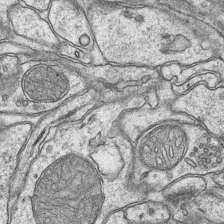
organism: Mouse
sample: CA1 Hippocampus